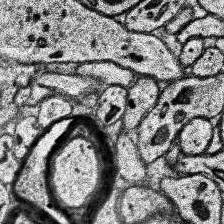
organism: Human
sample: Temporal Lobe